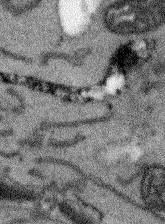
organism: Arabidopsis thaliana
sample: Root tip